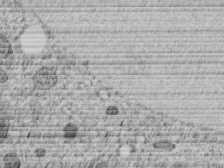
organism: C. elegans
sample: C. elegans embryo early stage